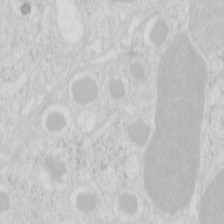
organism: Mouse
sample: Pancreas